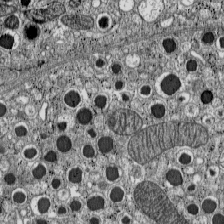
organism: C57BL Mouse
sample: Pancreatic islet